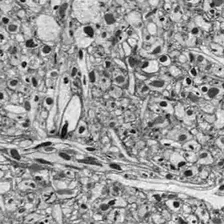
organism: Drosophila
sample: Optic lobe